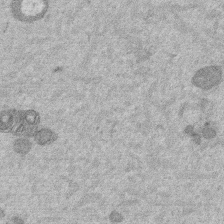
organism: Mouse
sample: Dividing mouse embryo 1 cell stage